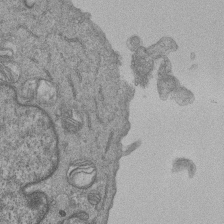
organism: Human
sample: MDA-MB-231 cells